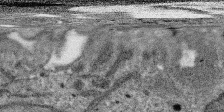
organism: Human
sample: Lung epithelial cells infected with SARS-CoV-2